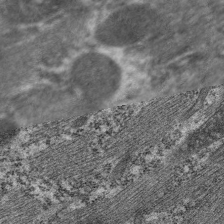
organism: C. elegans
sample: Pharynx